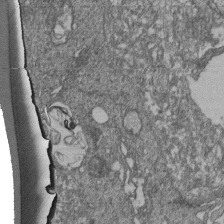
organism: Human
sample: Retinal organoid Rod and Cone cells